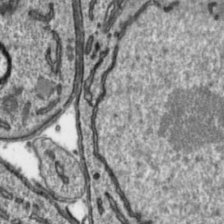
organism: Toxoplasma gondii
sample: Parasites in a vacuole inside a host cell